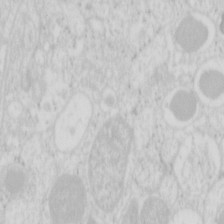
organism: Mouse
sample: Pancreas